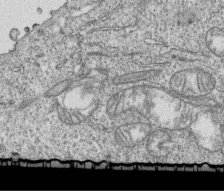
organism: Human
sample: HeLa cell HIV synapse